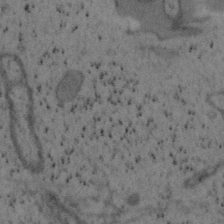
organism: Human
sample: HeLa cells